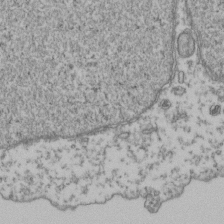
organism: Human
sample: Activated Jurkat CD4+ T cells